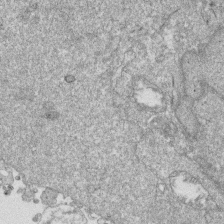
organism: Human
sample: HeLa cell HIV synapse